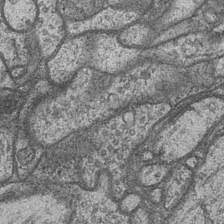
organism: Drosophila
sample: Optic medulla